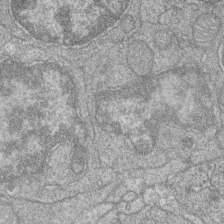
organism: Zebrafish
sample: Cilia; retinal pigment epithelium